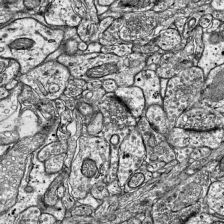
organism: Mouse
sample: Visual Cortex